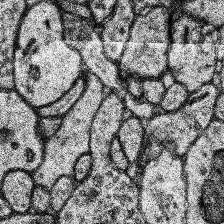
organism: Human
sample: Temporal Lobe